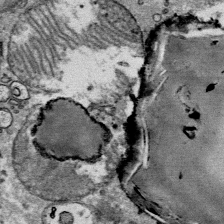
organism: Mouse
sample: Mouse Salivary gland